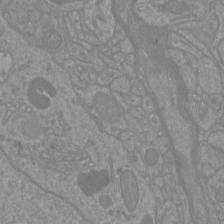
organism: Mouse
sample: Cortical neurons